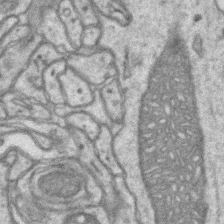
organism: Mouse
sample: CA1 Hippocampus